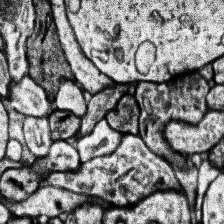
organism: Human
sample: Temporal Lobe